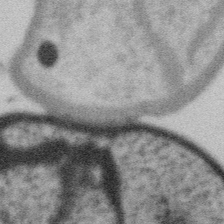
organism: Gemmata obscuriglobus